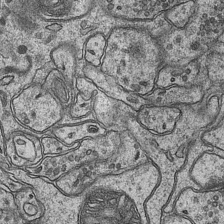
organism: Mouse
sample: CA1 Hippocampus